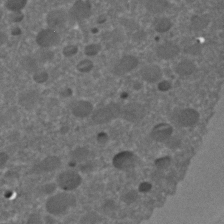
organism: C. elegans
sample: C. elegans embryo